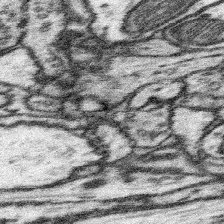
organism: Mouse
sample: Somatosensory cortex neuropil